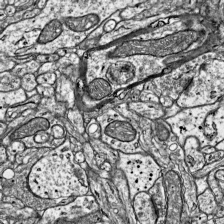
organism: Mouse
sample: Visual Cortex